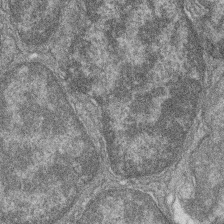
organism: Zebrafish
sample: Cilia; retinal pigment epithelium